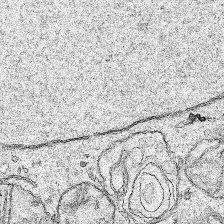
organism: Human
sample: Mitochondria in HCT116 cells